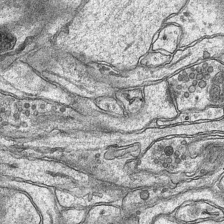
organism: Mouse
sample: CA1 Hippocampus